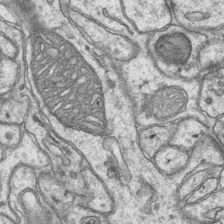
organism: Mouse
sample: CA1 Hippocampus